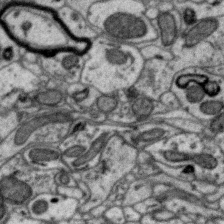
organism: Zebra finch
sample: Brain